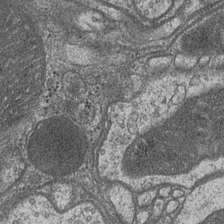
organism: Drosophila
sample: Optic medulla